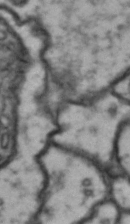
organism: Drosophila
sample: Brain